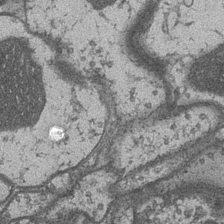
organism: Drosophila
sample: Optic medulla